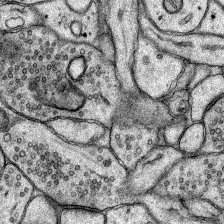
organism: Rat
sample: Hippocampus